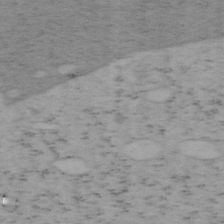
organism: Mouse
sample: OT-I killer T cells with ID8 ovarian cancer cells